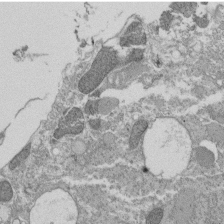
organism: Tetrahymena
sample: Cilia in tetrahymena